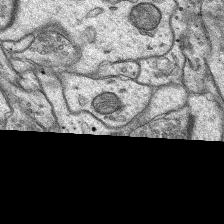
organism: Rat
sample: Hippocampus